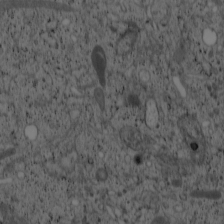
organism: African green monkey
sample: COS-7 cells